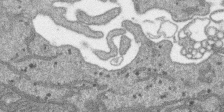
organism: Human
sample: Lung epithelial cells infected with SARS-CoV-2